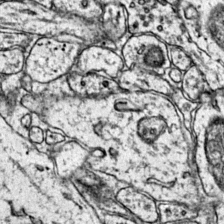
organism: Mouse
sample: Primary visual cortex